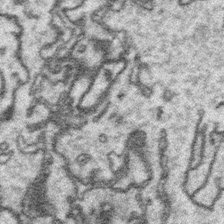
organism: Platynereis dumerilii